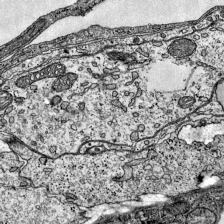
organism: Mouse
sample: Visual Cortex